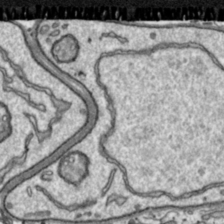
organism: Toxoplasma gondii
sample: Parasites in a vacuole inside a host cell